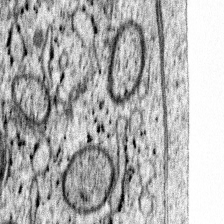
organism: Human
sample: HeLa cells